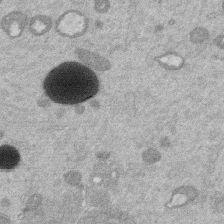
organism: Mouse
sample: Dividing mouse embryo 1 cell stage